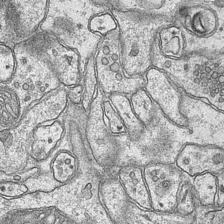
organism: Mouse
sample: CA1 Hippocampus